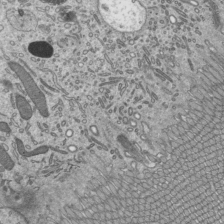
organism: Mouse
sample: Mouse epididymis efferent ductule cilia